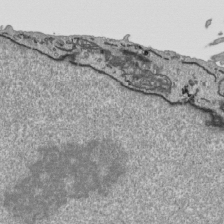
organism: Human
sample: Mitochondria in HCT116 cells